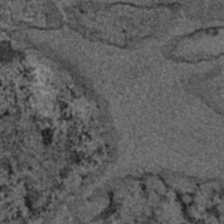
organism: C. elegans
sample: C. elegans embryo